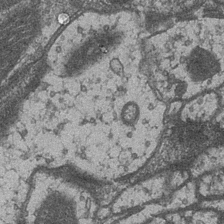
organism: Drosophila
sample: Optic medulla